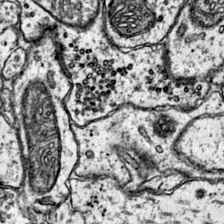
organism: Mouse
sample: Primary visual cortex